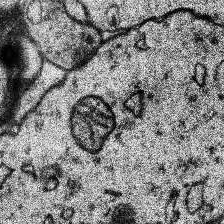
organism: Human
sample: Temporal Lobe